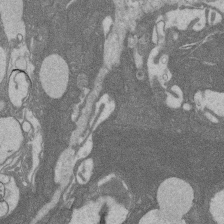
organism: Rat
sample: Salivary granule